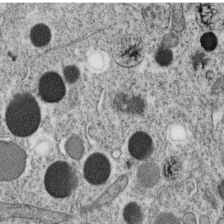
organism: C. elegans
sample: C. elegans oocyte; sperm cells